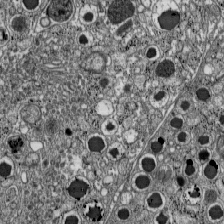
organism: C57BL Mouse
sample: Pancreatic islet